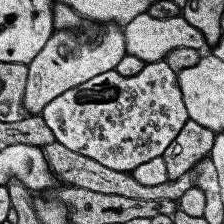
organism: Human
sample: Temporal Lobe